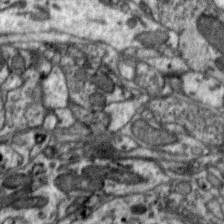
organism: Zebra finch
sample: Brain